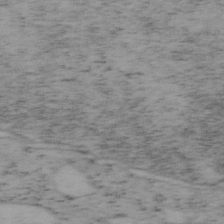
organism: Mouse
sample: OT-I killer T cells with ID8 ovarian cancer cells